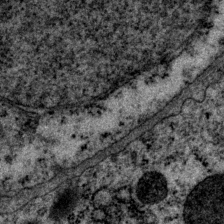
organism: P. pacificus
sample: Pharynx